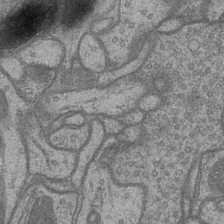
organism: Drosophila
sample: Optic medulla